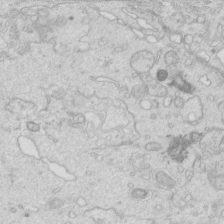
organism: Mouse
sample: Multiciliated cells